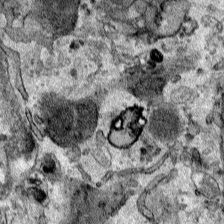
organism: Human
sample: Mitochondria in HCT116 cells